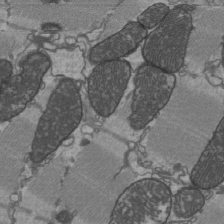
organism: C57BL Mouse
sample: Heart